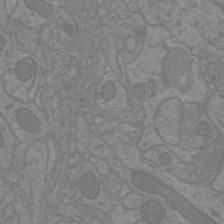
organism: Mouse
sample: Cortical neurons